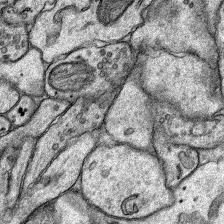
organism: Rat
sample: Hippocampus